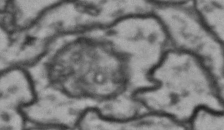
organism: Drosophila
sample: Brain